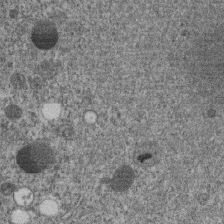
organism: C. elegans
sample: C. elegans embryo early stage